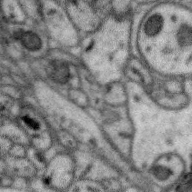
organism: Zebra finch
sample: Brain